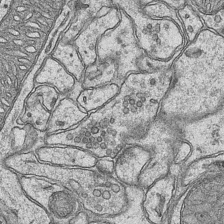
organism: Mouse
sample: CA1 Hippocampus